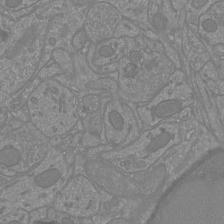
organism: Mouse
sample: Cortical neurons